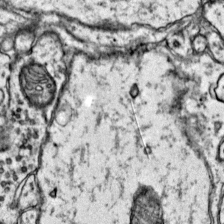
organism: Mouse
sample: Primary visual cortex